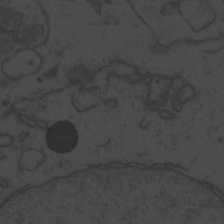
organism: Zebrafish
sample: Macrophage infected with Toxoplasma gondii